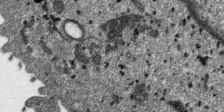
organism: Human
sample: Lung epithelial cells infected with SARS-CoV-2